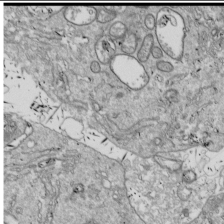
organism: Drosophila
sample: Cell division; meiosis; drosophila spermatocytes